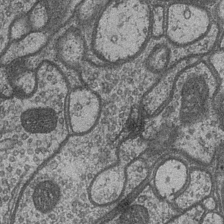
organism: Drosophila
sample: Optic medulla